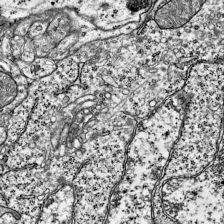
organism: Mouse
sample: Visual Cortex